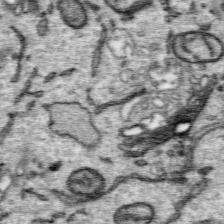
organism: Human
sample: HeLa cells